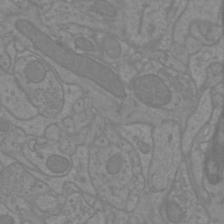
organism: Mouse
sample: Cortical neurons